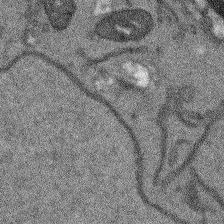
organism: Arabidopsis thaliana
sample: Root tip